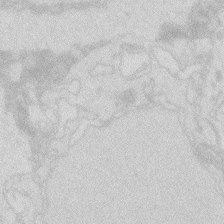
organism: Zebrafish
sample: Macrophage